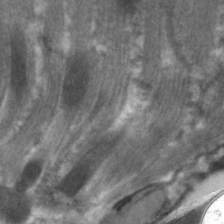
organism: C. elegans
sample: Pharynx